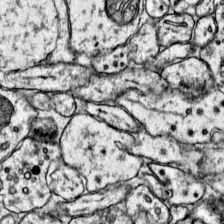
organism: Mouse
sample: Primary visual cortex